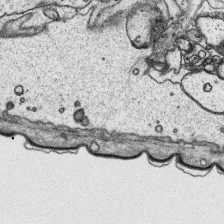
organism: Platynereis dumerilii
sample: Parapodia